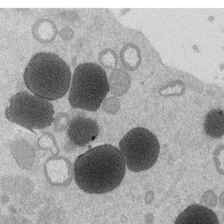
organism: Mouse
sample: Dividing mouse embryo 1 cell stage